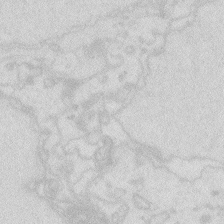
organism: Zebrafish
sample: Macrophage